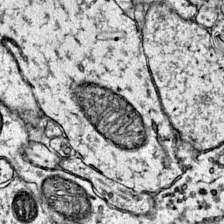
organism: Mouse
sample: Primary visual cortex